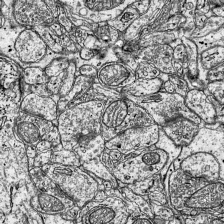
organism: Mouse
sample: Visual Cortex